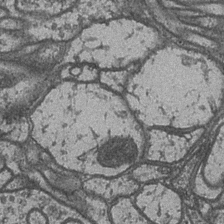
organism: Drosophila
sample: Optic medulla